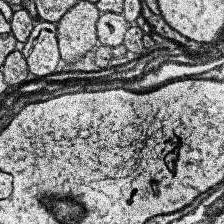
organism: Human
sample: Temporal Lobe